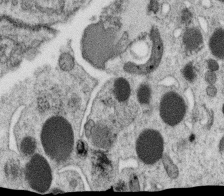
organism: C. elegans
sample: C. elegans oocyte; sperm cells